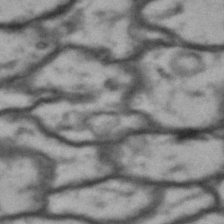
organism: Drosophila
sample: Brain